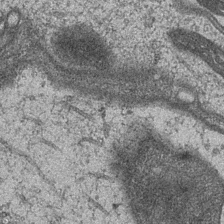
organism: Drosophila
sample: Optic medulla